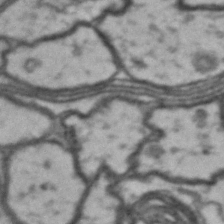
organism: Drosophila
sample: Brain